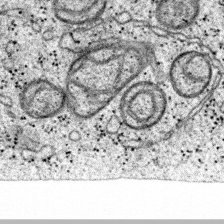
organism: Human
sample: HeLa cells